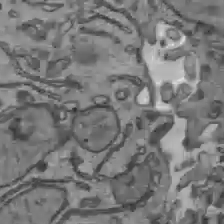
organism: C57BL Mouse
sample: Liver